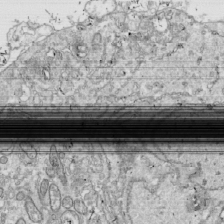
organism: Drosophila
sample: Cell division; meiosis; drosophila spermatocytes